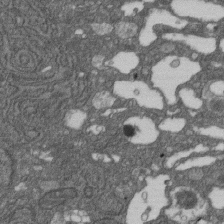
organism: Drosophila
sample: Nephrocyte